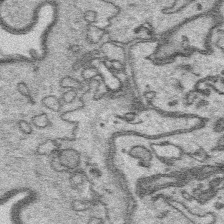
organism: Platynereis dumerilii